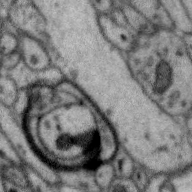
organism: Zebra finch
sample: Brain